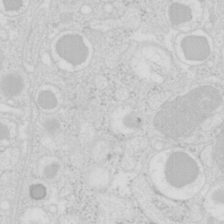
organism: Mouse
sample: Pancreas